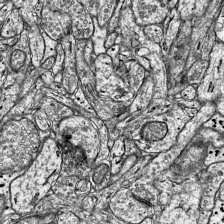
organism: Mouse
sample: Visual Cortex